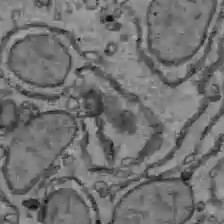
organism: C57BL Mouse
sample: Liver